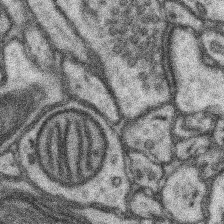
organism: Mouse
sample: Somatosensory cortex neuropil